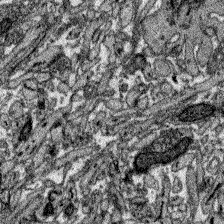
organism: Zebrafish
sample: Larval olfactory bulb